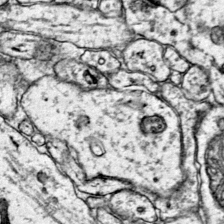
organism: Mouse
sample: Primary visual cortex